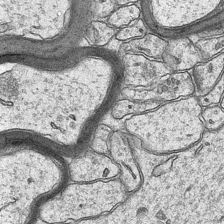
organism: Mouse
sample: CA1 Hippocampus